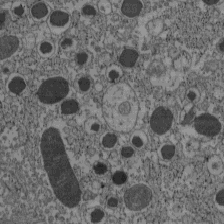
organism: C57BL Mouse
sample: Pancreatic islet